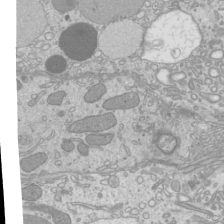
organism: Mouse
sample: Cilia; mouse epididymis